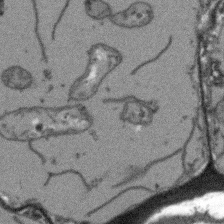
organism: Arabidopsis thaliana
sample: Root tip